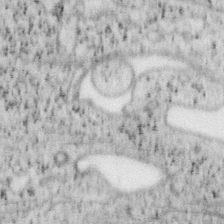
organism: Mouse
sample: OT-I killer T cells with ID8 ovarian cancer cells